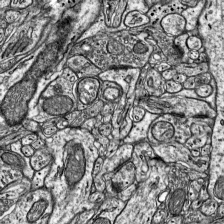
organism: Mouse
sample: Visual Cortex